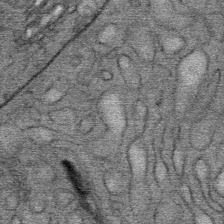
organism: Mouse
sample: Mouse Salivary gland